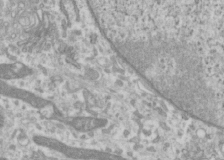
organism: Human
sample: Cilia; basal body in RPE cells